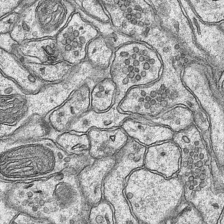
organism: Mouse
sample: CA1 Hippocampus